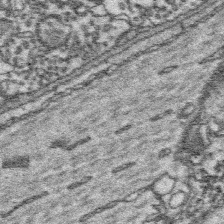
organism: Platynereis dumerilii